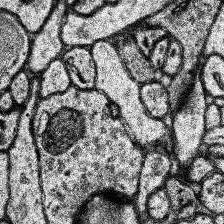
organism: Human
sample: Temporal Lobe